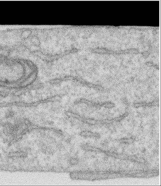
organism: Human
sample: Centriole in RPE cells